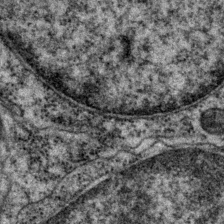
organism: P. pacificus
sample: Pharynx